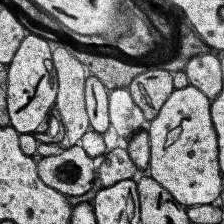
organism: Human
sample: Temporal Lobe